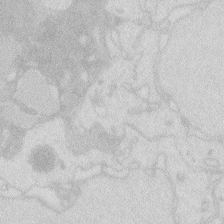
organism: Zebrafish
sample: Macrophage